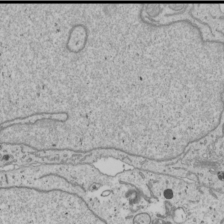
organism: Human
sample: Mitochondria in U2OS cells